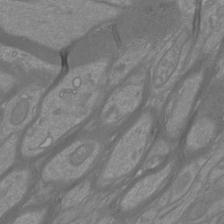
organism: Mouse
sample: Cortical neurons